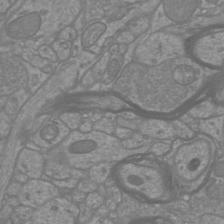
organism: Mouse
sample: Cortical neurons